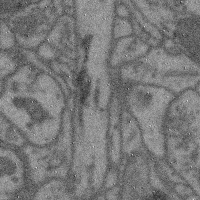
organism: Mouse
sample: Cerebral cortex